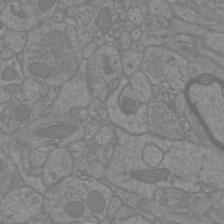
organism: Mouse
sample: Cortical neurons